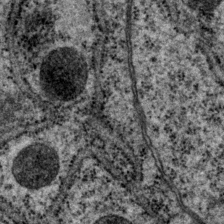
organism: P. pacificus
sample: Pharynx